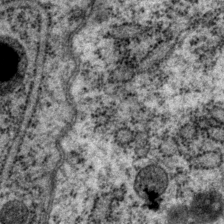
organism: P. pacificus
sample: Pharynx